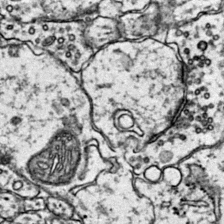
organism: Mouse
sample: Primary visual cortex